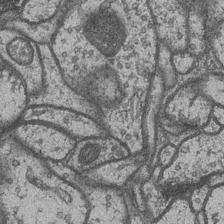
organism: Drosophila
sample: Optic medulla